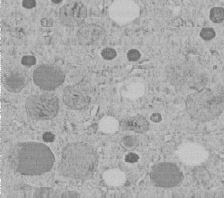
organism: C. elegans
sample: C. elegans embryo early stage